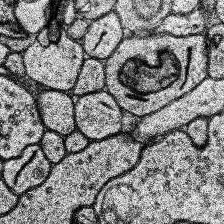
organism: Human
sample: Temporal Lobe